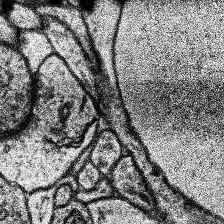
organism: Human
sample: Temporal Lobe